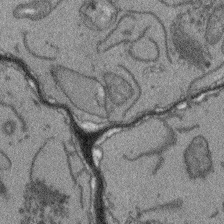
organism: Arabidopsis thaliana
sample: Root tip